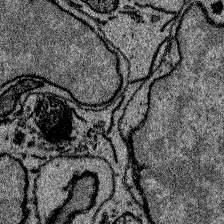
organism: Zebrafish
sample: Larval olfactory bulb